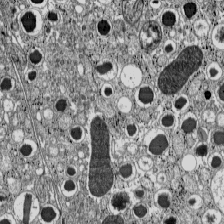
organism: C57BL Mouse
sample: Pancreatic islet